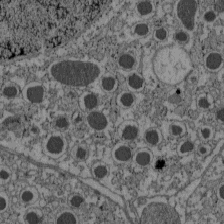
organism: C57BL Mouse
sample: Pancreatic islet